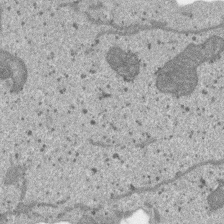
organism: Human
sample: Lung epithelial cells infected with SARS-CoV-2